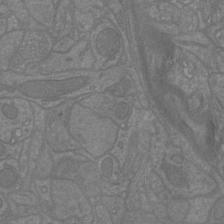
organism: Mouse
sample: Cortical neurons